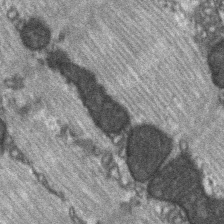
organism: C57BL Mouse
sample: Soleus